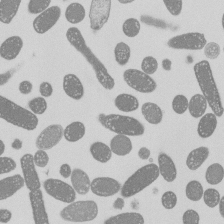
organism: E. coli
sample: Bacterial nucleoid